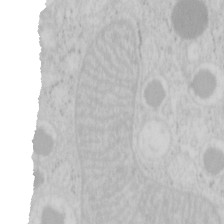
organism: Mouse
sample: Pancreas